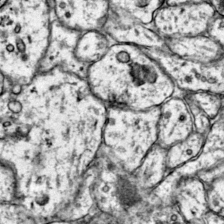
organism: Mouse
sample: Primary visual cortex